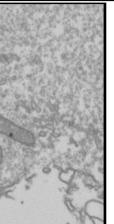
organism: Drosophila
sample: Cell division; meiosis; drosophila spermatocytes